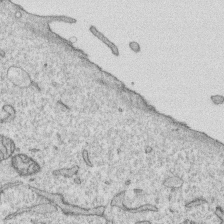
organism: Human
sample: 1205lu cells